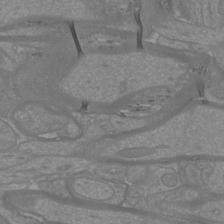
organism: Mouse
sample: Cortical neurons